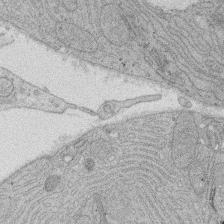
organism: Rat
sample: Salivary granule